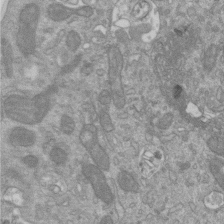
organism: Mouse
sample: ED-1 cell nuclei; centrioles